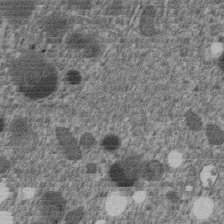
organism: C. elegans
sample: C. elegans embryo early stage